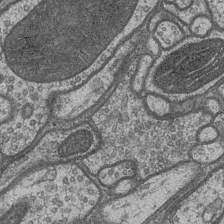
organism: Drosophila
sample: Optic medulla